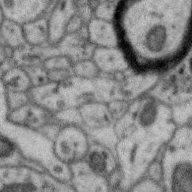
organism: Zebra finch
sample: Brain